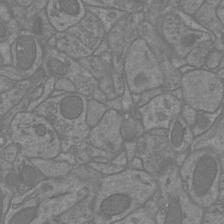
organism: Mouse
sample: Cortical neurons